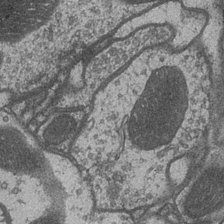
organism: Drosophila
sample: Optic medulla